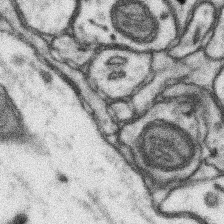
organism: Mouse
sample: Somatosensory cortex neuropil